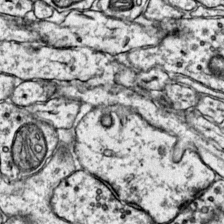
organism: Mouse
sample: Primary visual cortex